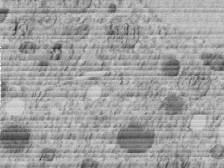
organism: C. elegans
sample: C. elegans embryo early stage